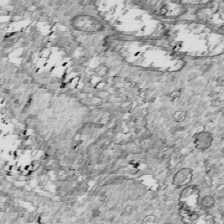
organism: Drosophila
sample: Cell division; meiosis; drosophila spermatocytes